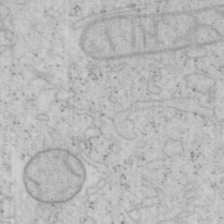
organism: Human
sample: HeLa cells